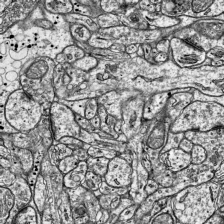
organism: Mouse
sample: Visual Cortex